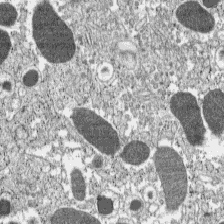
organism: C57BL Mouse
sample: Pancreatic islet